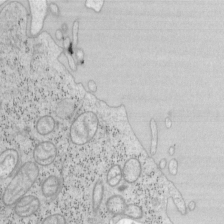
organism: Mouse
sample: OT-I killer T cells with ID8 ovarian cancer cells